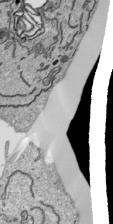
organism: Human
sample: Mitochondria in HCT116 cells